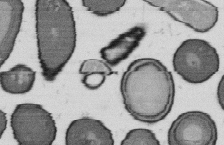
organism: B. subtilis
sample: Bacterial spore